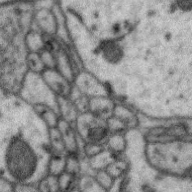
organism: Zebra finch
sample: Brain